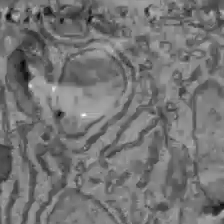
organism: C57BL Mouse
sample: Liver